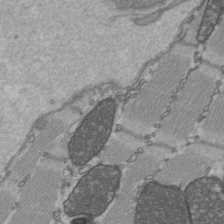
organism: C57BL Mouse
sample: Heart